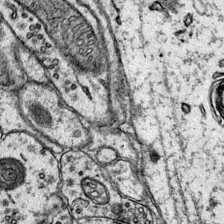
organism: Mouse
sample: Primary visual cortex